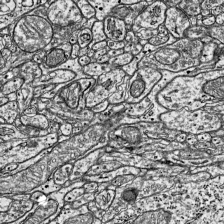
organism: Mouse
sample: Visual Cortex